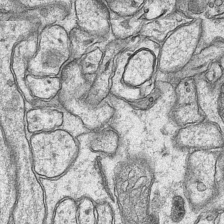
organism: Mouse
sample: CA1 Hippocampus